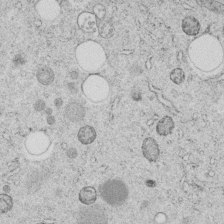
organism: C. elegans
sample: C. elegans embryo early stage